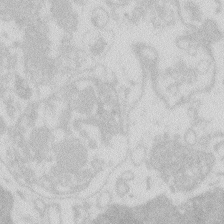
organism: Zebrafish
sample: Macrophage